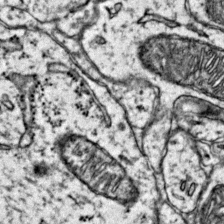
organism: Mouse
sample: Primary visual cortex